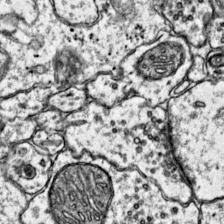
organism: Mouse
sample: Primary visual cortex